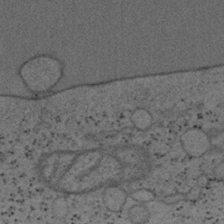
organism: Human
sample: HeLa cells